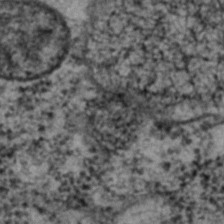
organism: C. elegans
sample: C. elegans embryo